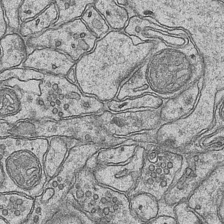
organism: Mouse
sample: CA1 Hippocampus